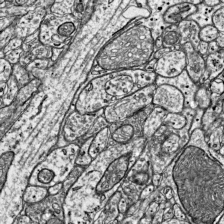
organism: Mouse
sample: Visual Cortex